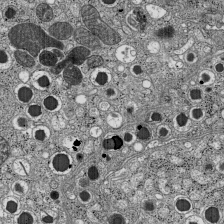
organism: C57BL Mouse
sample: Pancreatic islet